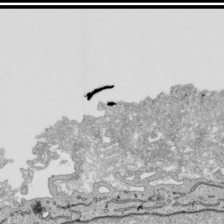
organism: Human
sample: Mitochondria in HCT116 cells